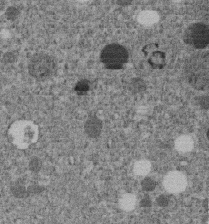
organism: C. elegans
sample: C. elegans embryo early stage